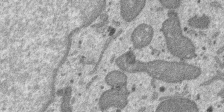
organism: Human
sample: Lung epithelial cells infected with SARS-CoV-2